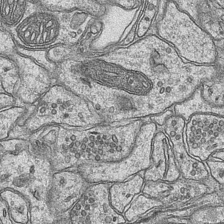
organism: Mouse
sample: CA1 Hippocampus